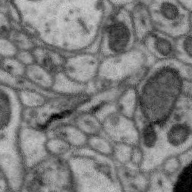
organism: Zebra finch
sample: Brain